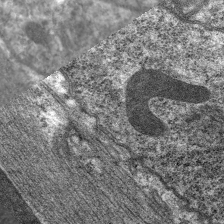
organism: C. elegans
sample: Pharynx